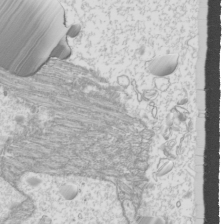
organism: Mouse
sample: Cilia; mouse epididymis